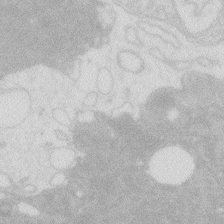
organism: Zebrafish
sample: Macrophage